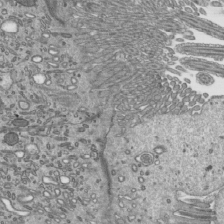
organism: Mouse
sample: Mouse epididymis efferent ductule cilia